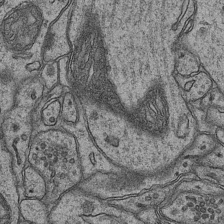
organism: Mouse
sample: CA1 Hippocampus